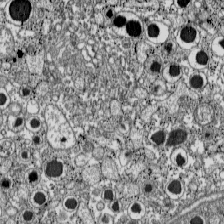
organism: C57BL Mouse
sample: Pancreatic islet